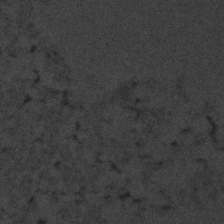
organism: C. elegans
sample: C. elegans embryo